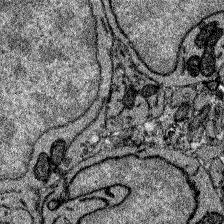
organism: Zebrafish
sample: Larval olfactory bulb